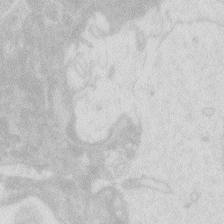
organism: Zebrafish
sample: Macrophage